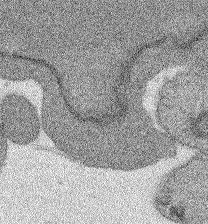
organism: Human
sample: HeLa cells